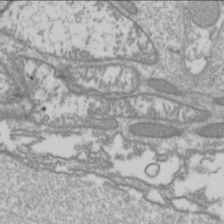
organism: Drosophila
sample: Cell division; meiosis; drosophila spermatocytes